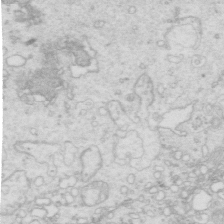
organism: Mouse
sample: Multiciliated cells